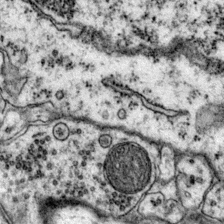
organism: Mouse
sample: Primary visual cortex